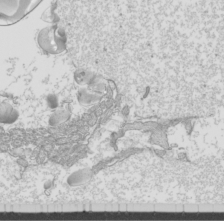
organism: Mouse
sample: Cilia; mouse epididymis